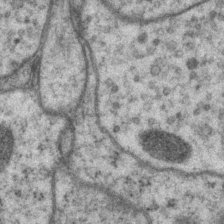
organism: P. pacificus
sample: Pharynx